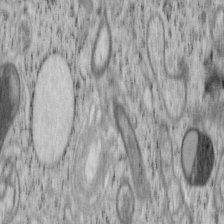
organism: Human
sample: HeLa cells